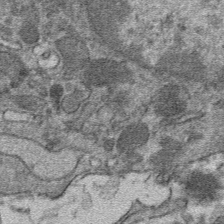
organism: Mouse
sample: Mouse hepatocytes